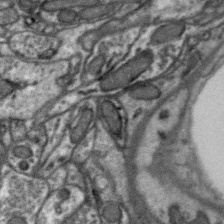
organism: Zebra finch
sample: Brain